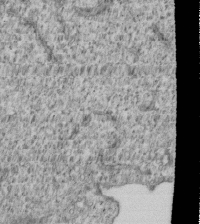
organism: Human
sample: MDA-MB-231 cells